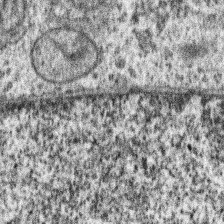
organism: Human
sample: HeLa cells